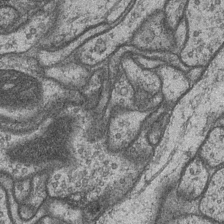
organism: Drosophila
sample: Optic medulla